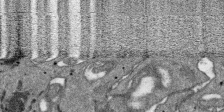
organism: Human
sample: Lung epithelial cells, uninfected (mock) control